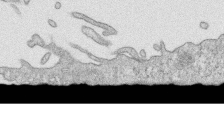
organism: Human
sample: HeLa cell HIV synapse